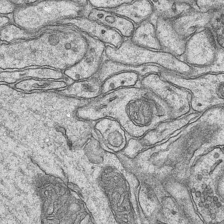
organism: Mouse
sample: CA1 Hippocampus